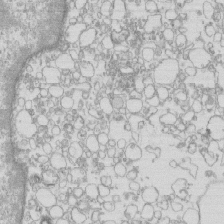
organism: Mouse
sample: Macrophages